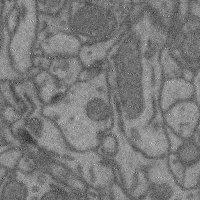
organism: Mouse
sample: Cerebral cortex